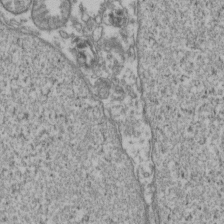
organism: Human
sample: Activated Jurkat CD4+ T cells